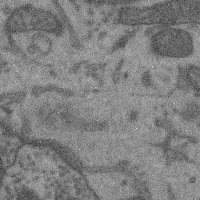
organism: Mouse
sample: Cerebral cortex